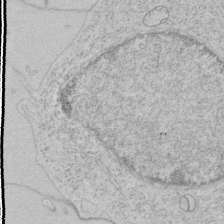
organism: Human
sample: Mitochondria in HCT116 cells